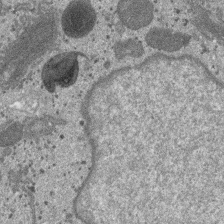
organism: Human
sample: Lung epithelial cells infected with SARS-CoV-2